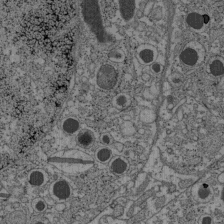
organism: C57BL Mouse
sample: Pancreatic islet